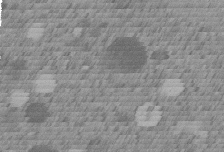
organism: C. elegans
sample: C. elegans embryo early stage